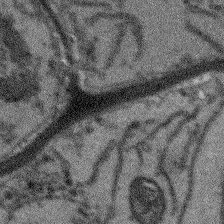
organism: Arabidopsis thaliana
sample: Root tip